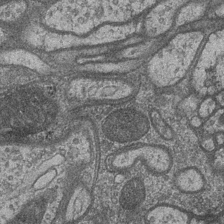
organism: Drosophila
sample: Optic medulla